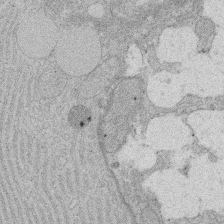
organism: Rat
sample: Salivary granule